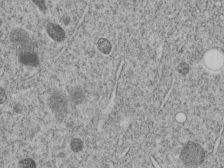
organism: C. elegans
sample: C. elegans embryo early stage